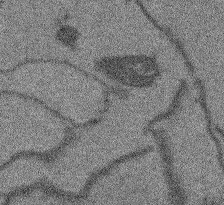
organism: Arabidopsis thaliana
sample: Root tip